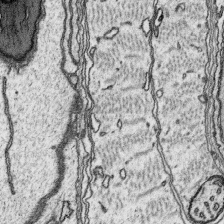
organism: Platynereis dumerilii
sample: Parapodia